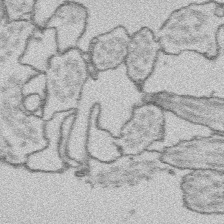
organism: Platynereis dumerilii